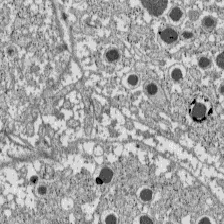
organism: C57BL Mouse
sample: Pancreatic islet